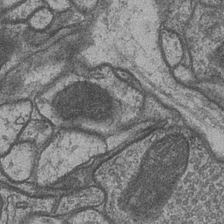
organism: Drosophila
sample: Optic medulla